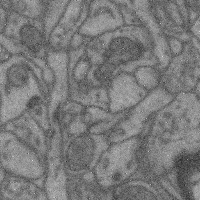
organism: Mouse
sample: Cerebral cortex